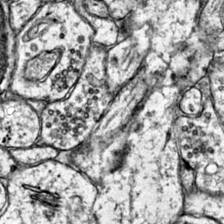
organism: Mouse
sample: Primary visual cortex